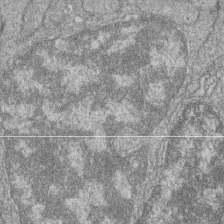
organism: Zebrafish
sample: Cilia; retinal pigment epithelium